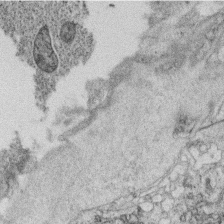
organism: C. elegans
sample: C. elegans oocyte; sperm cells